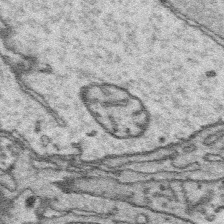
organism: Platynereis dumerilii